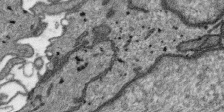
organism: Human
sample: Lung epithelial cells, uninfected (mock) control